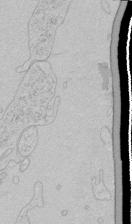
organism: Human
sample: Mitochondria in HCT116 cells